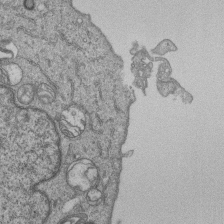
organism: Human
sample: MDA-MB-231 cells